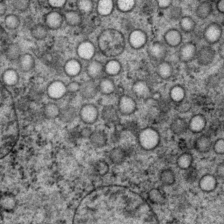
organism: P. pacificus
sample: Pharynx